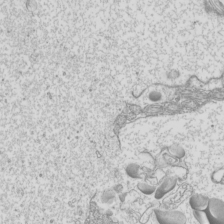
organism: Mouse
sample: Cilia; mouse epididymis